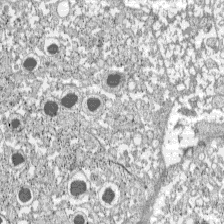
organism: C57BL Mouse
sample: Pancreatic islet